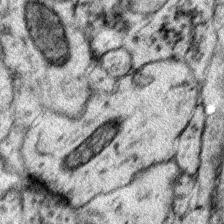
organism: Mouse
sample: Primary visual cortex